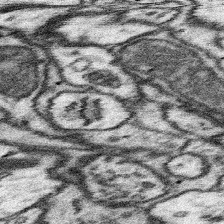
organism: Mouse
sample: Somatosensory cortex neuropil